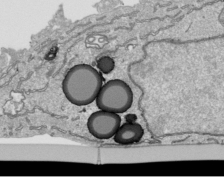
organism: Human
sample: Mitochondria in HCT116 cells